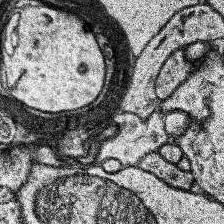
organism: Human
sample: Temporal Lobe